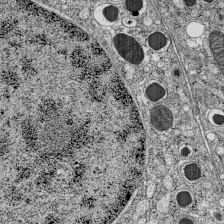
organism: C57BL Mouse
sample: Pancreatic islet